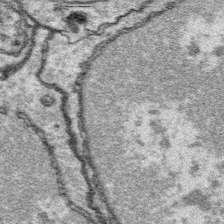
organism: Platynereis dumerilii